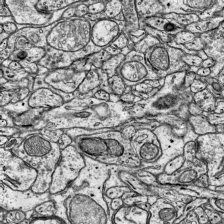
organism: Mouse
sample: Visual Cortex